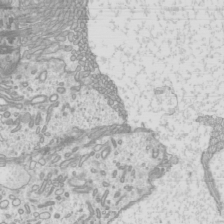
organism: Mouse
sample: Cilia; mouse epididymis